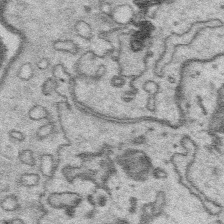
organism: Platynereis dumerilii